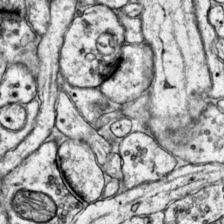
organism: Mouse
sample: Primary visual cortex